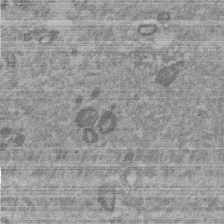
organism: Mouse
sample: Dividing mouse embryo 1 cell stage